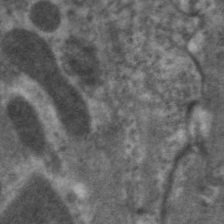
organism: C. elegans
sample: Pharynx